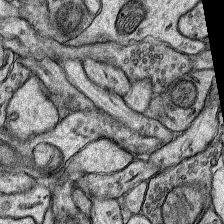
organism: Rat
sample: Hippocampus